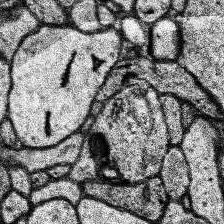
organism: Human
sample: Temporal Lobe